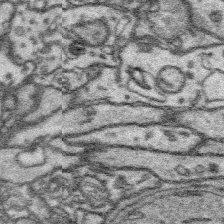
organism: Platynereis dumerilii